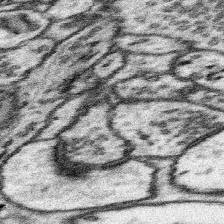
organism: Mouse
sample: Somatosensory cortex neuropil